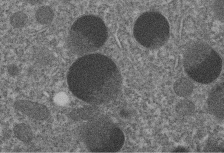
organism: C. elegans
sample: C. elegans embryo early stage